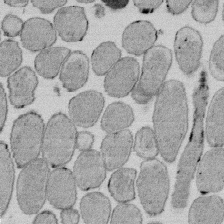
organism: E. coli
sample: Bacterial nucleoid